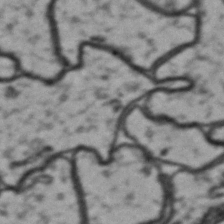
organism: Drosophila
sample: Brain